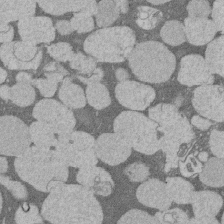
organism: Rat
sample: Salivary granule